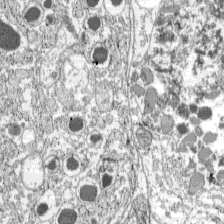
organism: C57BL Mouse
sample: Pancreatic islet